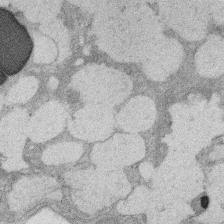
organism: Rat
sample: Salivary granule